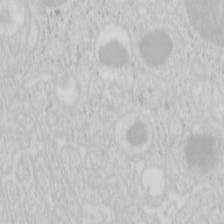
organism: Mouse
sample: Pancreas